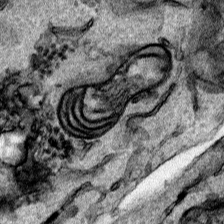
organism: Human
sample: Mitochondria in HCT116 cells